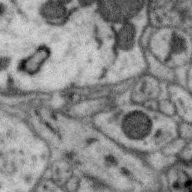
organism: Zebra finch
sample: Brain